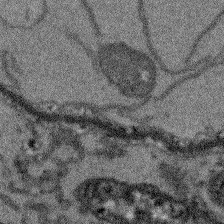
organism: Arabidopsis thaliana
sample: Root tip